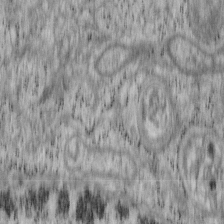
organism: Human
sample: HeLa cells